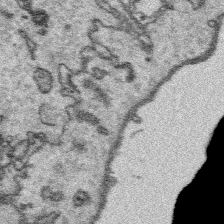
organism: Platynereis dumerilii